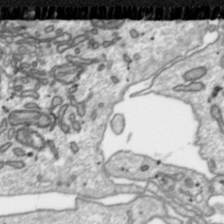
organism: Toxoplasma gondii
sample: Parasites in a vacuole inside a host cell